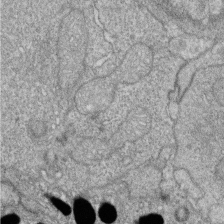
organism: Zebrafish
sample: Cilia; retinal pigment epithelium